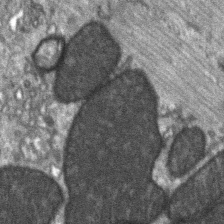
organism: C57BL Mouse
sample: Soleus